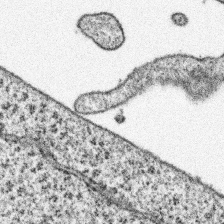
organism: Human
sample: HeLa cells